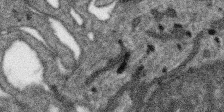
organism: Human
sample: Lung epithelial cells infected with SARS-CoV-2